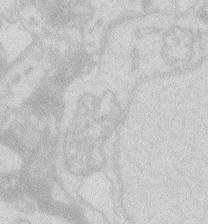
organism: Zebrafish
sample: Macrophage